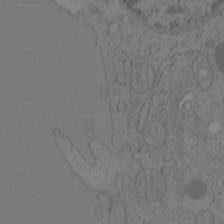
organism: Human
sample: HeLa cells